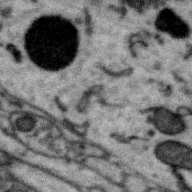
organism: Zebra finch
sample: Brain